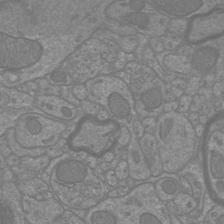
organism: Mouse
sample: Cortical neurons